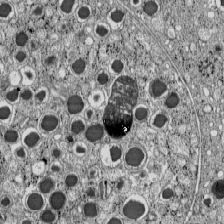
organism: C57BL Mouse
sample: Pancreatic islet